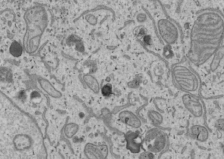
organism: Human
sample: Mitochondria in U2OS cells